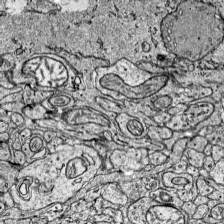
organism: Mouse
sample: Visual Cortex